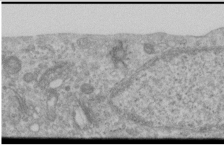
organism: Human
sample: Cilia; basal body in RPE cells